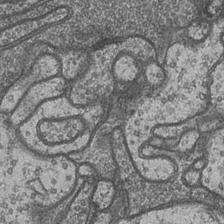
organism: Drosophila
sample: Optic medulla